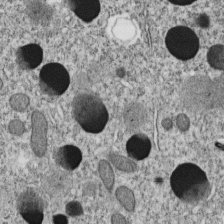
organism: C. elegans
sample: C. elegans embryo early stage